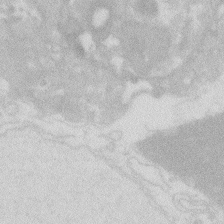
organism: Zebrafish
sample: Macrophage